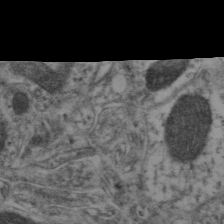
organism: Mouse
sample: Neocortex